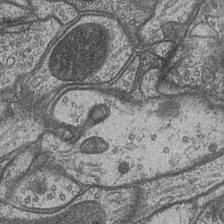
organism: Drosophila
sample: Optic medulla